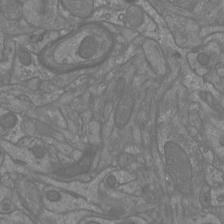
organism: Mouse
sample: Cortical neurons